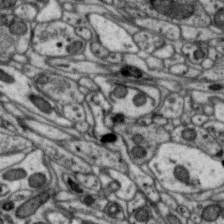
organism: Zebra finch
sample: Brain